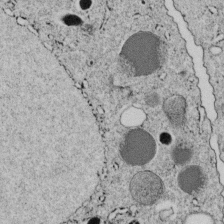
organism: C. elegans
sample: C. elegans embryo early stage